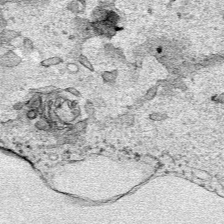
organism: Human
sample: Mitochondria in HCT116 cells